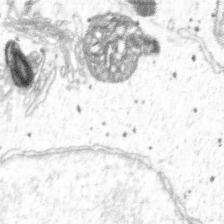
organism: Human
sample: HeLa cells